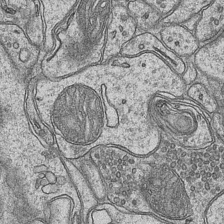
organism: Mouse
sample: CA1 Hippocampus